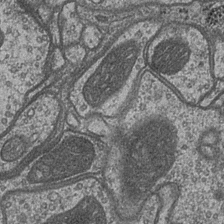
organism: Drosophila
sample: Optic medulla